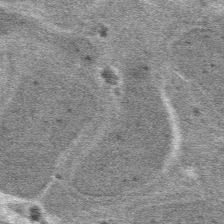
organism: Mouse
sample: Mouse hepatocytes